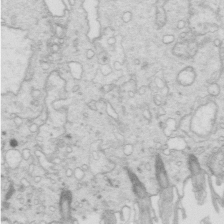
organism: Mouse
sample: Multiciliated cells